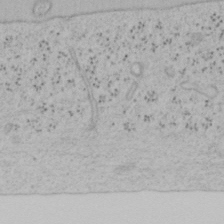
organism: Human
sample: HeLa cells